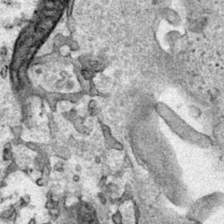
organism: Human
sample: Mitochondria in HCT116 cells